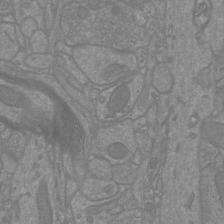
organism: Mouse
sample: Cortical neurons